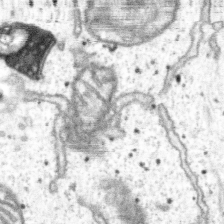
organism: Human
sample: HeLa cells